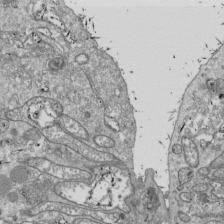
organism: Drosophila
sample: Cell division; meiosis; drosophila spermatocytes